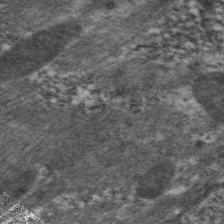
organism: C. elegans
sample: Pharynx